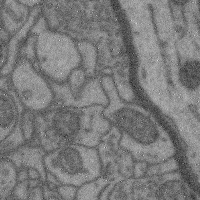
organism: Mouse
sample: Cerebral cortex